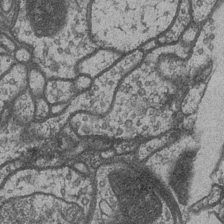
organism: Drosophila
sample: Optic medulla